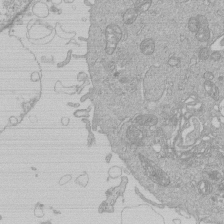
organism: Human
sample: Macrophage cells